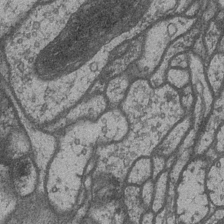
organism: Drosophila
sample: Optic medulla